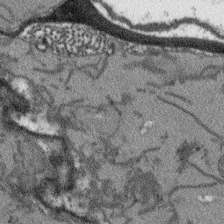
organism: Arabidopsis thaliana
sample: Root tip